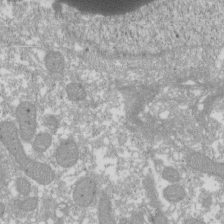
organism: Xenopus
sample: Cilia; centrioles in frog embryo cells